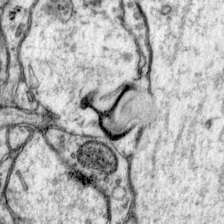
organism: Mouse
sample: Primary visual cortex